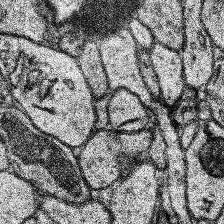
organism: Human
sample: Temporal Lobe